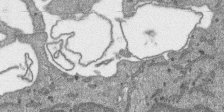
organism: Human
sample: Lung epithelial cells infected with SARS-CoV-2